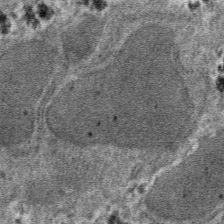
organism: Mouse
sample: Mouse hepatocytes